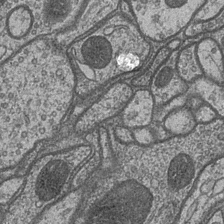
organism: Drosophila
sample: Optic medulla